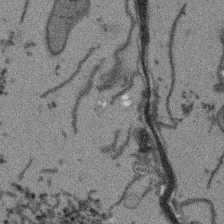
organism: Arabidopsis thaliana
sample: Root tip